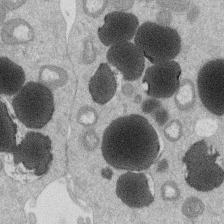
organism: Mouse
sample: Dividing mouse embryo 1 cell stage